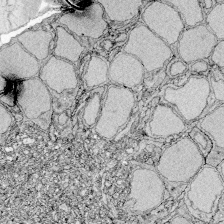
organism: Zebrafish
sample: Whole-Brain